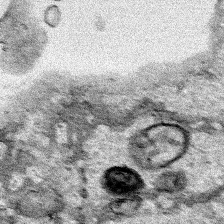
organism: Human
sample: Mitochondria in HCT116 cells